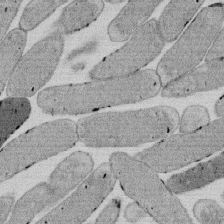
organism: E. coli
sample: Bacterial nucleoid